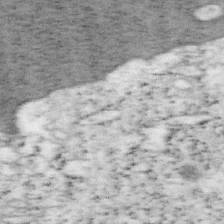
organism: Mouse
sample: OT-I killer T cells with ID8 ovarian cancer cells